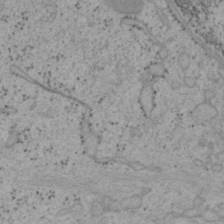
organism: Human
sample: HeLa cells